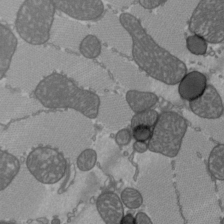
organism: C57BL Mouse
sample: Heart